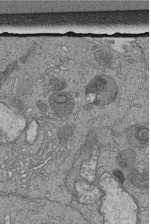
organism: Human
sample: Retinal organoid Rod and Cone cells